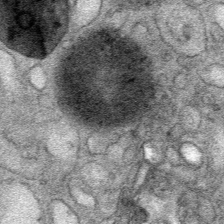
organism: Mouse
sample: Mouse Salivary gland